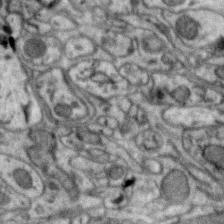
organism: Zebra finch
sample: Brain